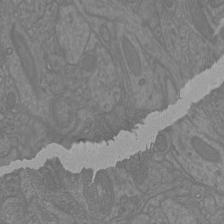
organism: Mouse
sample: Cortical neurons